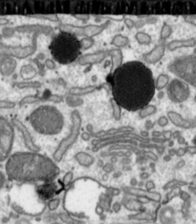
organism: Toxoplasma gondii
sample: Parasites in a vacuole inside a host cell